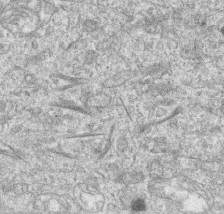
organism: Human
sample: HeLa cell HIV synapse